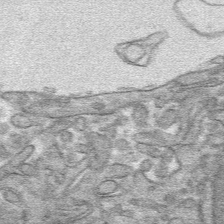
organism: Mouse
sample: Mouse hepatocytes